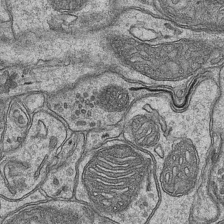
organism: Mouse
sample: CA1 Hippocampus